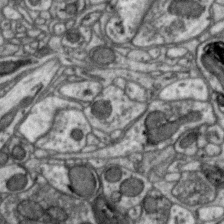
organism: Zebra finch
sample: Brain